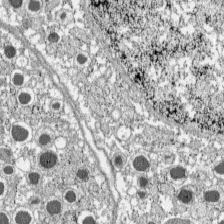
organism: C57BL Mouse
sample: Pancreatic islet